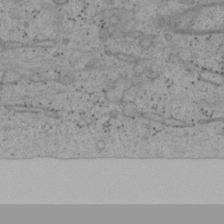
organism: Human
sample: HeLa cells